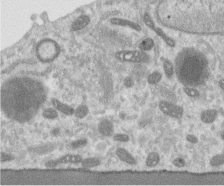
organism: Human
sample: Centriole in RPE cells